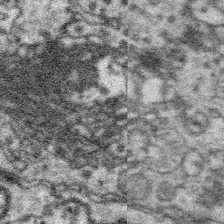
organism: Platynereis dumerilii